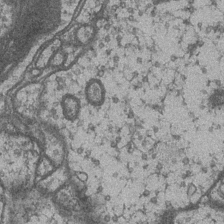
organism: Drosophila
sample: Optic medulla